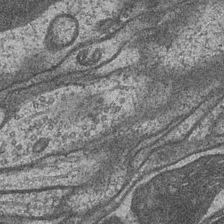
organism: Drosophila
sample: Optic medulla